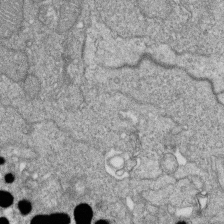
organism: Zebrafish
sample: Cilia; retinal pigment epithelium